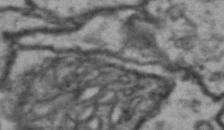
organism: Drosophila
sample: Brain